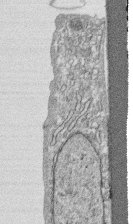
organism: Human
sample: CRL-1474